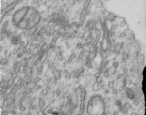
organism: Human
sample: Centriole in RPE cells